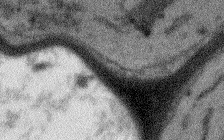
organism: Arabidopsis thaliana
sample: Root tip